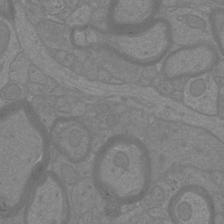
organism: Mouse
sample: Cortical neurons